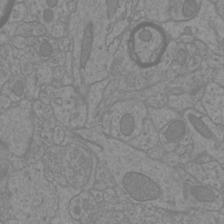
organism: Mouse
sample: Cortical neurons